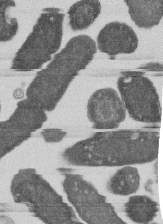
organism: E. coli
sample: Bacterial nucleoid